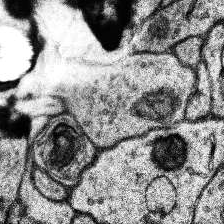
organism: Human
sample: Temporal Lobe